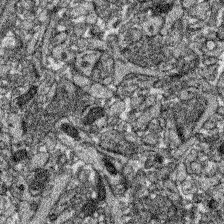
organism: Zebrafish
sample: Larval olfactory bulb